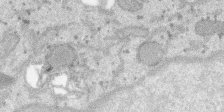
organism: Human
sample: Lung epithelial cells infected with SARS-CoV-2